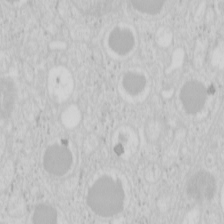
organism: Mouse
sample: Pancreas